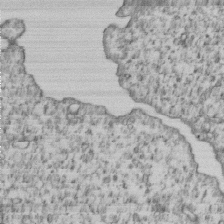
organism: Human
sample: MDA-MB-231 cells